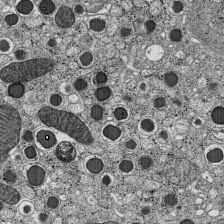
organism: C57BL Mouse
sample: Pancreatic islet